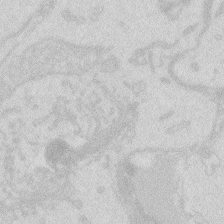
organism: Zebrafish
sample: Macrophage